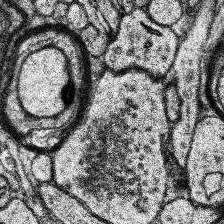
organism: Human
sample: Temporal Lobe